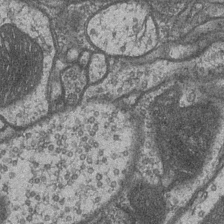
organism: Drosophila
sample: Optic medulla